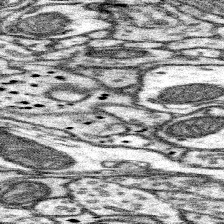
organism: Mouse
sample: Somatosensory cortex neuropil